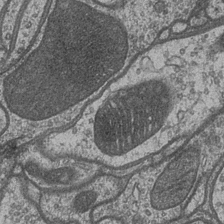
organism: Drosophila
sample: Optic medulla